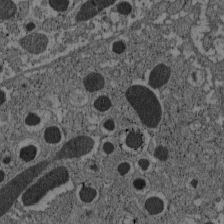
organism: C57BL Mouse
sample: Pancreatic islet